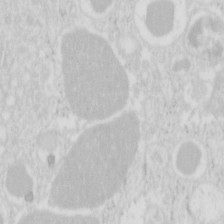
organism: Mouse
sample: Pancreas